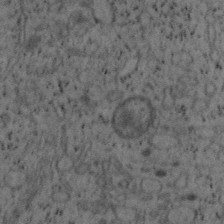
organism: Human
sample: HeLa cells